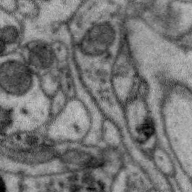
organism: Zebra finch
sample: Brain